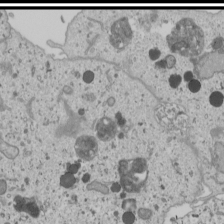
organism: Human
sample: Mitochondria in U2OS cells